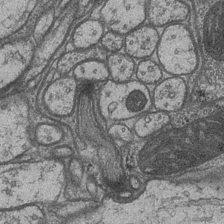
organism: Drosophila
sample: Optic medulla